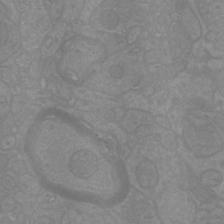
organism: Mouse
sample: Cortical neurons